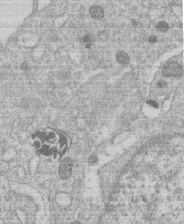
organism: Human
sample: Macrophage cells